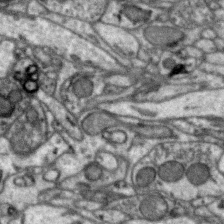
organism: Zebra finch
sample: Brain